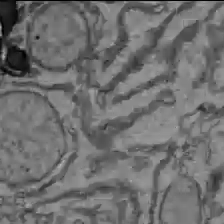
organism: C57BL Mouse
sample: Liver